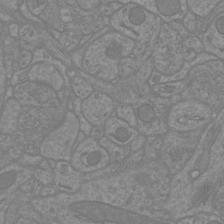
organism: Mouse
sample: Cortical neurons